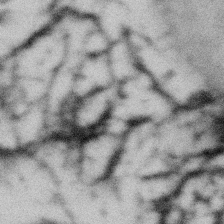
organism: Gemmata obscuriglobus